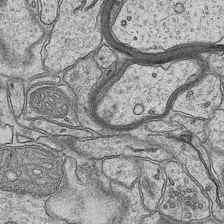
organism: Mouse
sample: CA1 Hippocampus